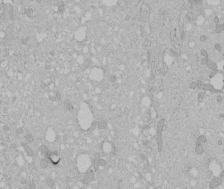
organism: Human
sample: Melanocyte Keratinocyte synapse skin construct